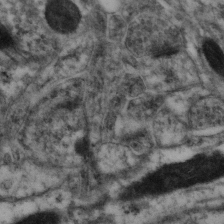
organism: Mouse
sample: Neocortex